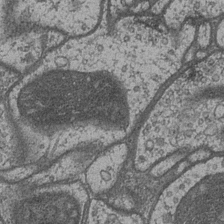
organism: Drosophila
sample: Optic medulla